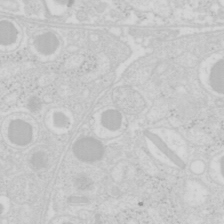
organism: Mouse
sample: Pancreas